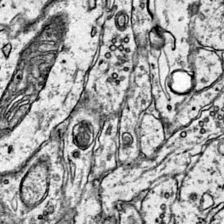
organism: Mouse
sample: Primary visual cortex